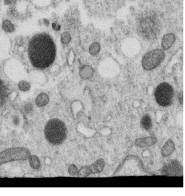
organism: C. elegans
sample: C. elegans oocyte; sperm cells